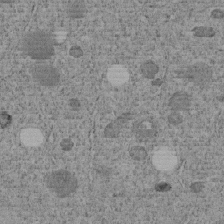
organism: C. elegans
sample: C. elegans embryo early stage